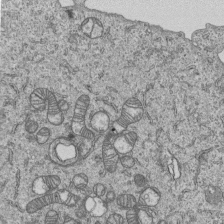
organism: Human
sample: MDA-MB-231 cells